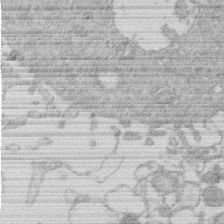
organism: Human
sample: Macrophage cells